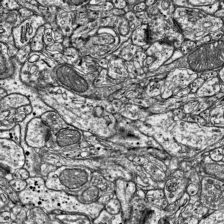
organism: Mouse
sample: Visual Cortex